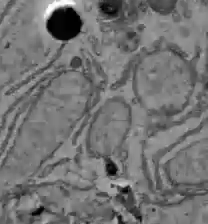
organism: C57BL Mouse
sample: Liver